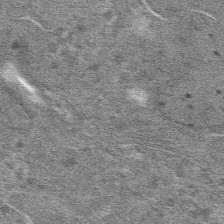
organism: Mouse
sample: Mouse hepatocytes